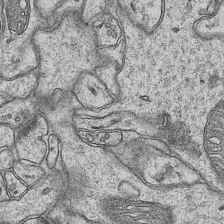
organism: Mouse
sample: CA1 Hippocampus